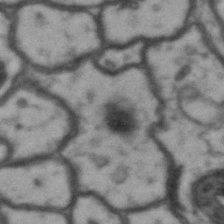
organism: Drosophila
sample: Brain